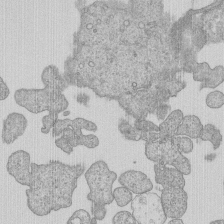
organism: Human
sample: MDA-MB-231 cells